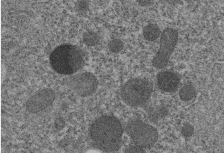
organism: C. elegans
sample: C. elegans embryo early stage